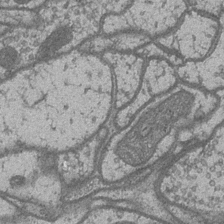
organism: Drosophila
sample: Optic medulla